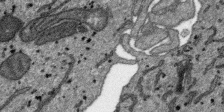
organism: Human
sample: Lung epithelial cells, uninfected (mock) control